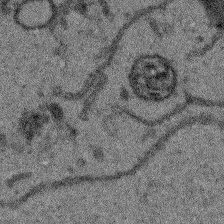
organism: Arabidopsis thaliana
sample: Root tip